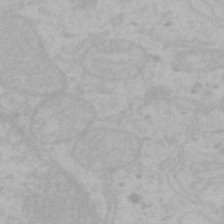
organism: Mouse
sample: Choroid plexus